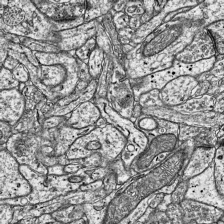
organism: Mouse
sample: Visual Cortex